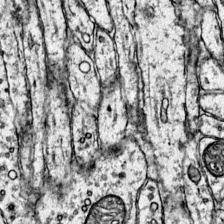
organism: Mouse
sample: Primary visual cortex